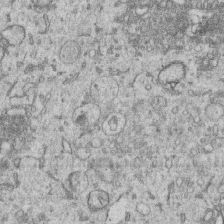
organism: Human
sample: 1205lu cells